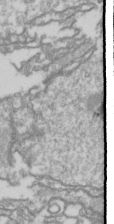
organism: Drosophila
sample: Cell division; meiosis; drosophila spermatocytes